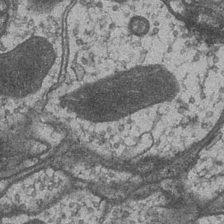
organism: Drosophila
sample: Optic medulla